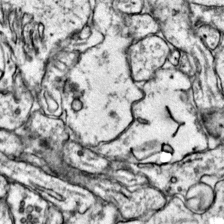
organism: Mouse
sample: Primary visual cortex